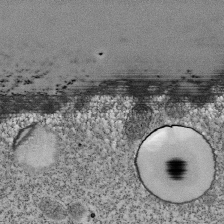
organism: Tetrahymena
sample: Cilia in tetrahymena